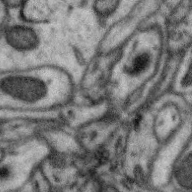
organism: Zebra finch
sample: Brain